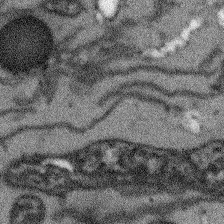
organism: Arabidopsis thaliana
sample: Root tip